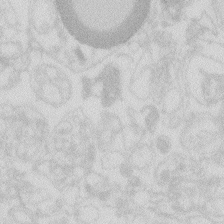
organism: Zebrafish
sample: Macrophage